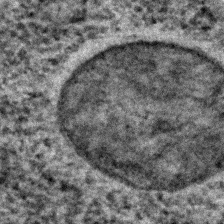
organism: C. elegans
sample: C. elegans embryo